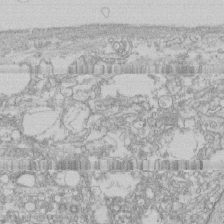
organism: Human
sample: CRL-1474